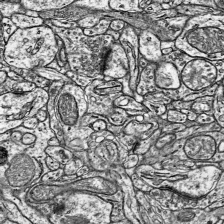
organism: Mouse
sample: Visual Cortex